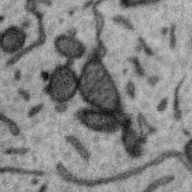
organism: Zebra finch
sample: Brain